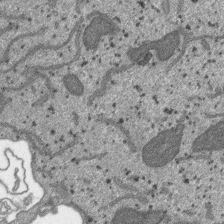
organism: Human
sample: Lung epithelial cells infected with SARS-CoV-2